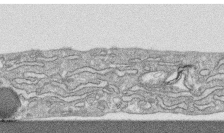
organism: Human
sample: CRL-1474